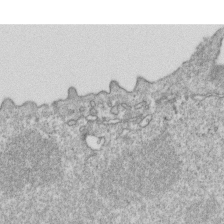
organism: Mouse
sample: Activated OT-1 CD8+ T cells